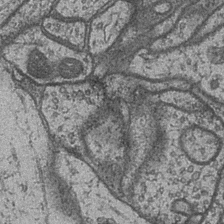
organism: Drosophila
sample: Optic medulla